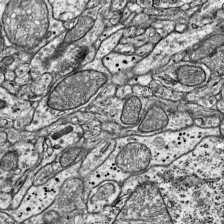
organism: Mouse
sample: Visual Cortex